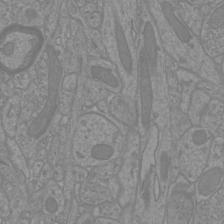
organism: Mouse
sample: Cortical neurons